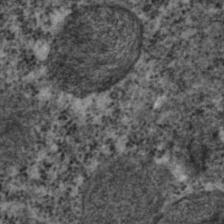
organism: C. elegans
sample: C. elegans embryo